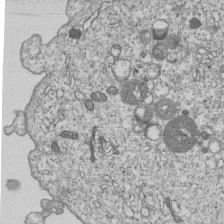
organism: Human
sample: MDA-MB-231 cells